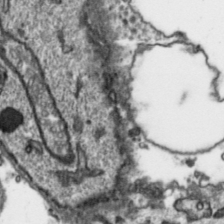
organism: Toxoplasma gondii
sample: Parasites in a vacuole inside a host cell